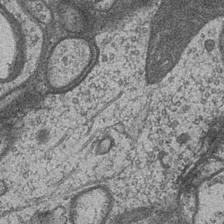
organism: Drosophila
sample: Optic medulla